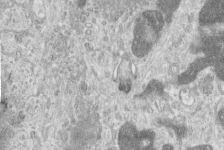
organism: Human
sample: Centriole in RPE cells